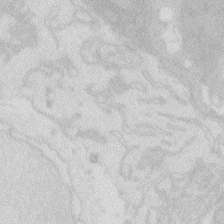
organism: Zebrafish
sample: Macrophage